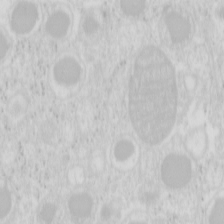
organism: Mouse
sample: Pancreas